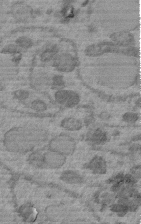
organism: C. elegans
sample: C. elegans embryo early stage